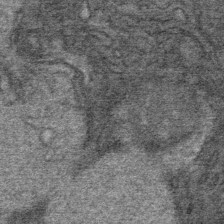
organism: Mouse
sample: Mouse Salivary gland